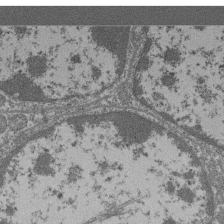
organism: Mouse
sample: Glomerulus